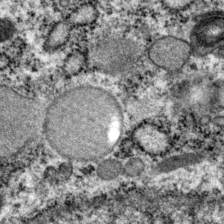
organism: P. pacificus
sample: Pharynx